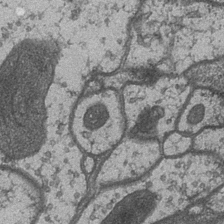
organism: Drosophila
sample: Optic medulla